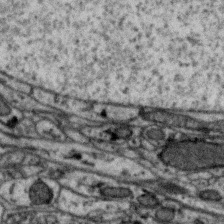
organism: Zebra finch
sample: Brain